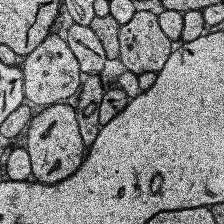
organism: Human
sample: Temporal Lobe